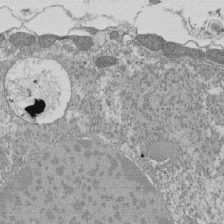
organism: Tetrahymena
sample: Cilia in tetrahymena